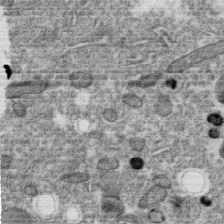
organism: C. elegans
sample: C. elegans oocyte; sperm cells